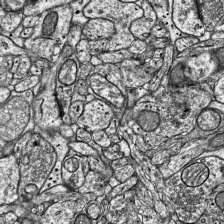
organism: Mouse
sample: Visual Cortex